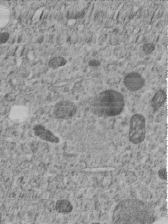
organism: C. elegans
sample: C. elegans embryo early stage